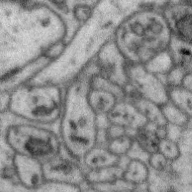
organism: Zebra finch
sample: Brain